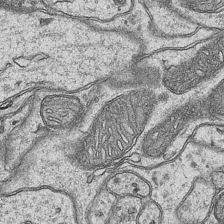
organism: Mouse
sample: CA1 Hippocampus